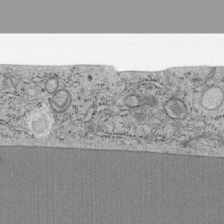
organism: Human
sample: HeLa cells